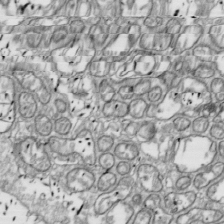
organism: Drosophila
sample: Cell division; meiosis; drosophila spermatocytes